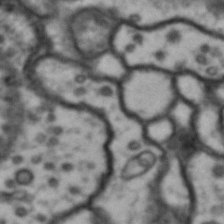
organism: Drosophila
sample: Brain